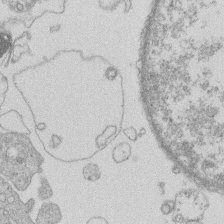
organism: Human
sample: Macrophage cells